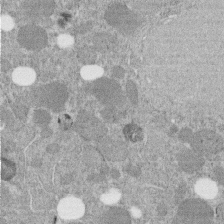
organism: C. elegans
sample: C. elegans embryo early stage